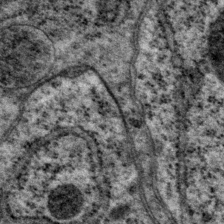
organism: P. pacificus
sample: Pharynx